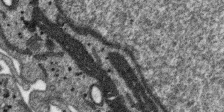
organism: Human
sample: Lung epithelial cells infected with SARS-CoV-2